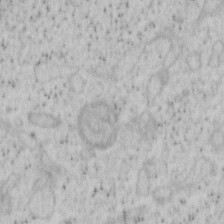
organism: Human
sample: HeLa cells